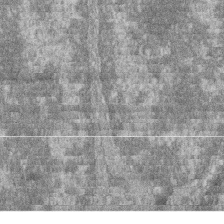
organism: Zebrafish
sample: Cilia; retinal pigment epithelium